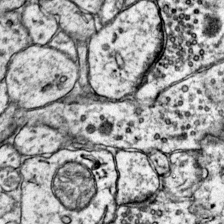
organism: Mouse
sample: Primary visual cortex